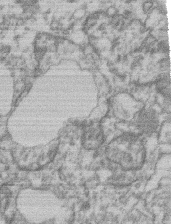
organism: Mouse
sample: T cell stromal cell synapse